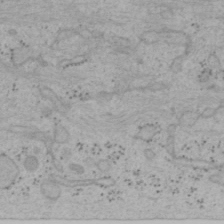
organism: Human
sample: HeLa cells